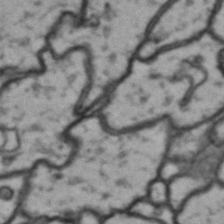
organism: Drosophila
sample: Brain